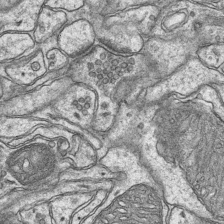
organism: Mouse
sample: CA1 Hippocampus